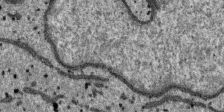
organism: Human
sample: Lung epithelial cells, uninfected (mock) control